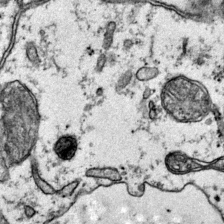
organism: Mouse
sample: Primary visual cortex